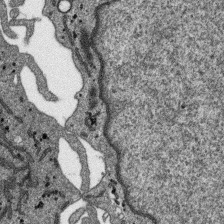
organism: Human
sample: Lung epithelial cells infected with SARS-CoV-2